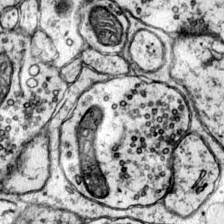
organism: Mouse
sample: Primary visual cortex